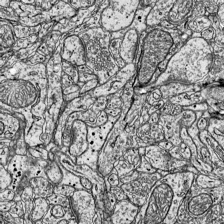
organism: Mouse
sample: Visual Cortex